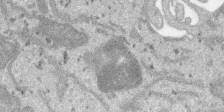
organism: Human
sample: Lung epithelial cells infected with SARS-CoV-2